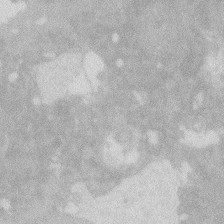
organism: Zebrafish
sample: Macrophage